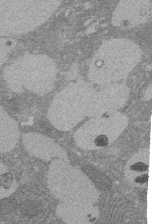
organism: Rat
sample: Salivary granule